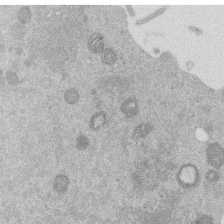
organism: Mouse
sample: Dividing mouse embryo 1 cell stage